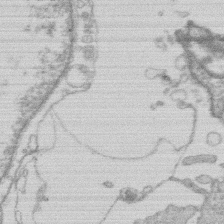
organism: Human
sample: Macrophage cells